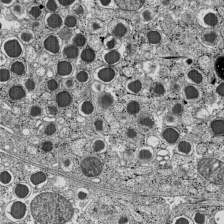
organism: C57BL Mouse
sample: Pancreatic islet